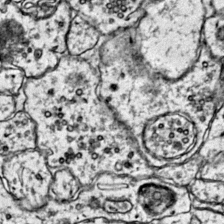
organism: Mouse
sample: Primary visual cortex